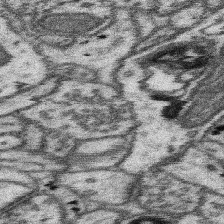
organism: Mouse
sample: Somatosensory cortex neuropil